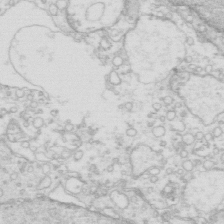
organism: Mouse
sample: Multiciliated cells